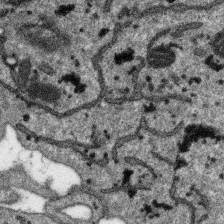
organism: Human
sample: Lung epithelial cells infected with SARS-CoV-2